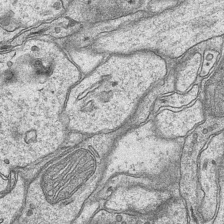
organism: Mouse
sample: CA1 Hippocampus